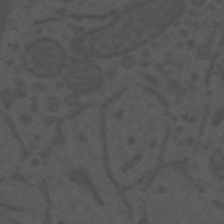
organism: Mouse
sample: Suprachiasmatic nucleus